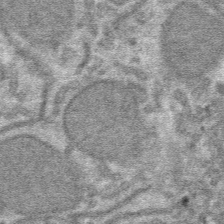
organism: Mouse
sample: Mouse hepatocytes